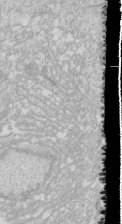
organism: Drosophila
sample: Cell division; meiosis; drosophila spermatocytes